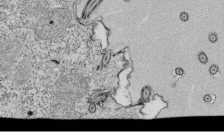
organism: Tetrahymena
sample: Cilia in tetrahymena